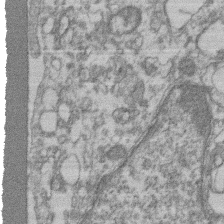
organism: Mouse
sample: T cell stromal cell synapse